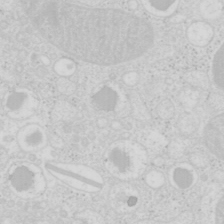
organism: Mouse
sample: Pancreas